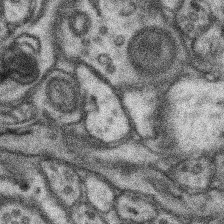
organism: Mouse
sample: Somatosensory cortex neuropil